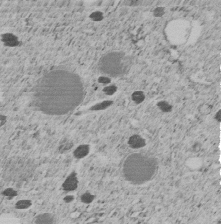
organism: C. elegans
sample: C. elegans embryo early stage